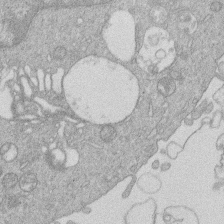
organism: Human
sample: Macrophage cells